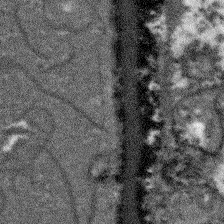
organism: Arabidopsis thaliana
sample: Root tip